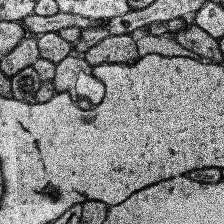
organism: Human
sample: Temporal Lobe